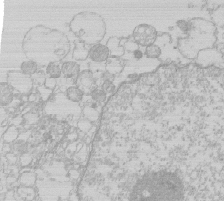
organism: Human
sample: Macrophage cells